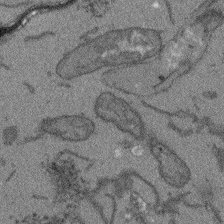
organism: Arabidopsis thaliana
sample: Root tip